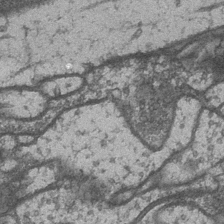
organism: Drosophila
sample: Optic medulla